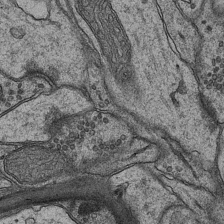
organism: Mouse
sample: CA1 Hippocampus